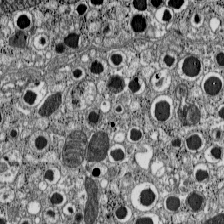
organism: C57BL Mouse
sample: Pancreatic islet